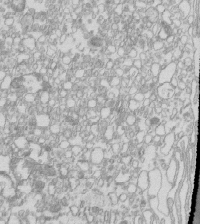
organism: Mouse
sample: Macrophages